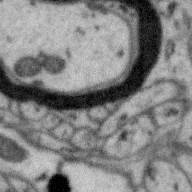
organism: Zebra finch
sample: Brain